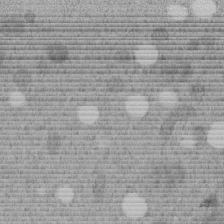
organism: C. elegans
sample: C. elegans embryo early stage